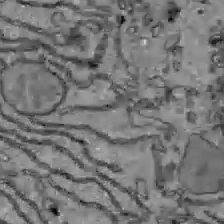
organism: C57BL Mouse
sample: Liver